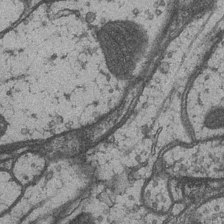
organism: Drosophila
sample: Optic medulla